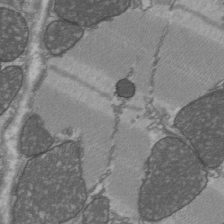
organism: C57BL Mouse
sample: Heart